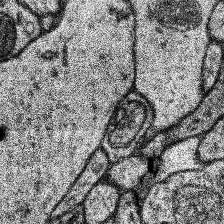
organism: Human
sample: Temporal Lobe